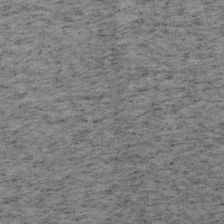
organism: Mouse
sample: OT-I killer T cells with ID8 ovarian cancer cells